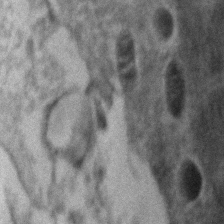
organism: Zebrafish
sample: Zebrafish embryo